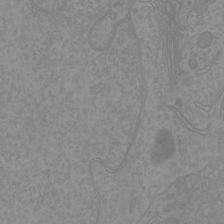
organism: Mouse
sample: Cortical neurons